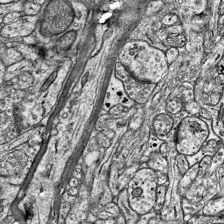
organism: Mouse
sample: Visual Cortex